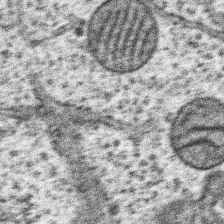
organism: Human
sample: HeLa cells